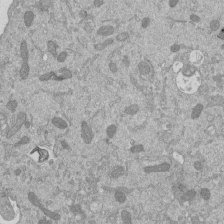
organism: Mouse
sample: ED-1 cell nuclei; centrioles